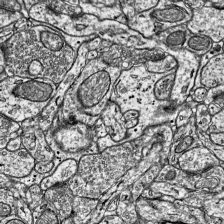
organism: Mouse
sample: Visual Cortex